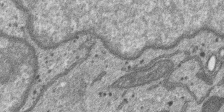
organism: Human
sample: Lung epithelial cells infected with SARS-CoV-2